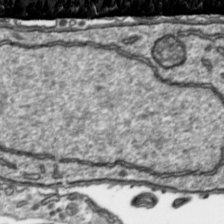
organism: Toxoplasma gondii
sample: Parasites in a vacuole inside a host cell